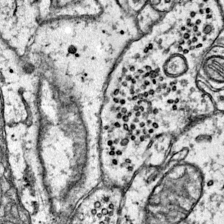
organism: Mouse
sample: Primary visual cortex